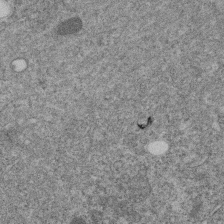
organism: C. elegans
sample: C. elegans embryo early stage